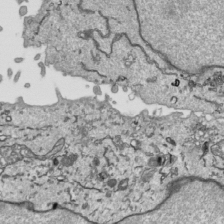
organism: Human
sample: Mitochondria in HCT116 cells